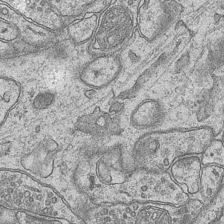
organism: Mouse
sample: CA1 Hippocampus